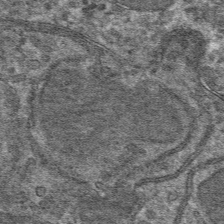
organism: Mouse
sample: Mouse hepatocytes